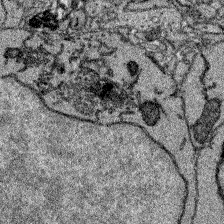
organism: Zebrafish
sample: Larval olfactory bulb